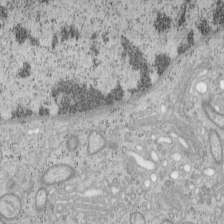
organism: Mouse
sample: OT-I killer T cells with ID8 ovarian cancer cells